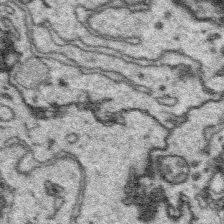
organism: Platynereis dumerilii